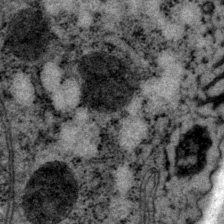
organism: P. pacificus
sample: Pharynx